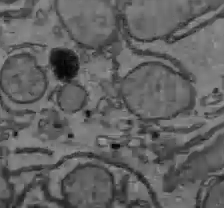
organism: C57BL Mouse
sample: Liver